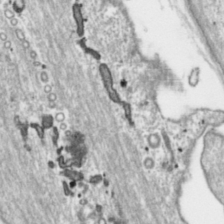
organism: Toxoplasma gondii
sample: Parasites in a vacuole inside a host cell